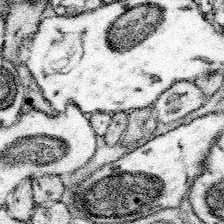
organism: Mouse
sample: Somatosensory cortex neuropil